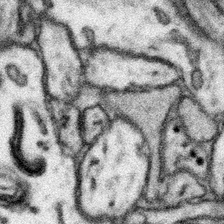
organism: Mouse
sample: Somatosensory cortex neuropil